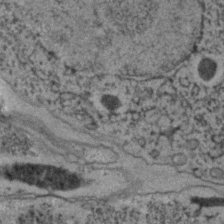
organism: C. elegans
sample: C. elegans embryo